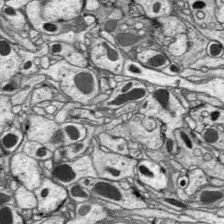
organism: Drosophila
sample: Optic lobe